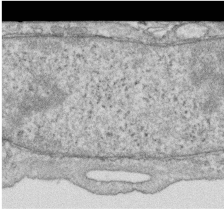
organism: Human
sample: Centriole in RPE cells